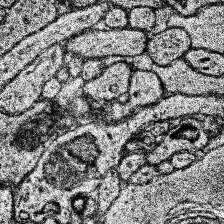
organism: Human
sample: Temporal Lobe